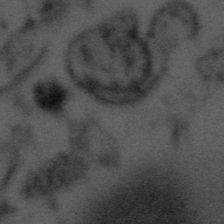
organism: Tuwongella immobilis